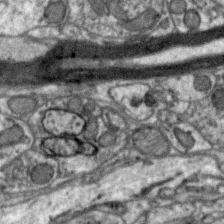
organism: Zebra finch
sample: Brain